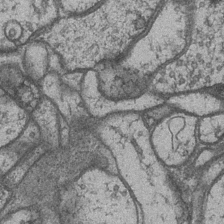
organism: Drosophila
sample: Optic medulla